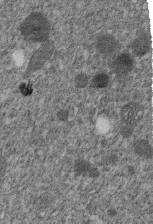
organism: C. elegans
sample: C. elegans embryo early stage